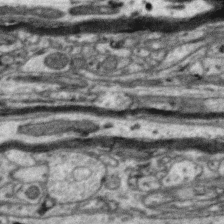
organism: Zebra finch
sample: Brain